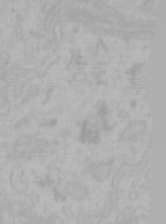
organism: Mouse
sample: Choroid plexus